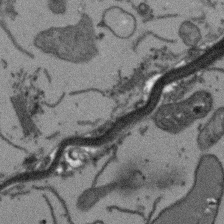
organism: Arabidopsis thaliana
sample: Root tip